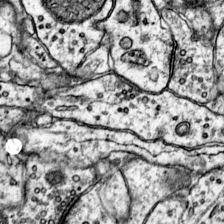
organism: Mouse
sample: Primary visual cortex